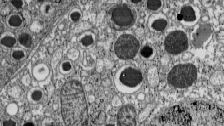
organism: C57BL Mouse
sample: Pancreatic islet